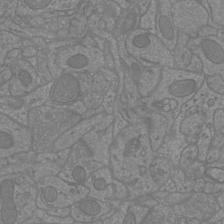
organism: Mouse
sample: Cortical neurons